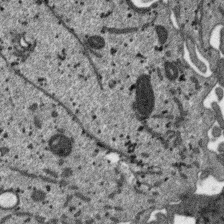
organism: Human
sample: Lung epithelial cells infected with SARS-CoV-2